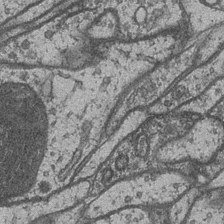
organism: Drosophila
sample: Optic medulla